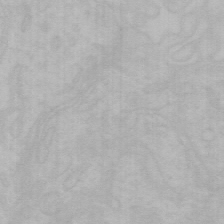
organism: Mouse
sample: Choroid plexus